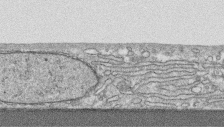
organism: Human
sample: CRL-1474